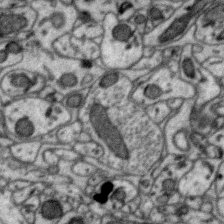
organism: Zebra finch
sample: Brain